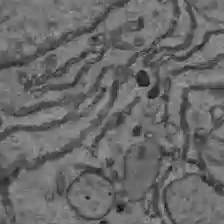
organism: C57BL Mouse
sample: Liver